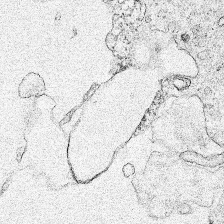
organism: Human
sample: Mitochondria in HCT116 cells